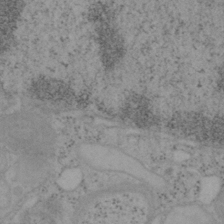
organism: Mouse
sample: OT-I killer T cells with ID8 ovarian cancer cells